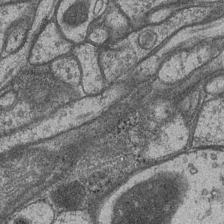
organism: Drosophila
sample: Optic medulla